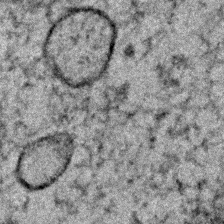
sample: Trachea